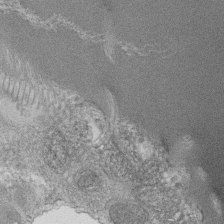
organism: Tetrahymena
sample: Cilia in tetrahymena